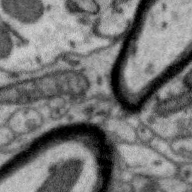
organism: Zebra finch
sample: Brain